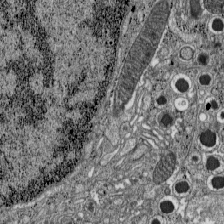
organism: C57BL Mouse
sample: Pancreatic islet